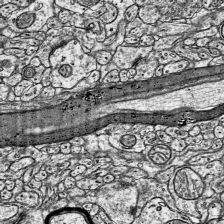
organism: Mouse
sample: Visual Cortex